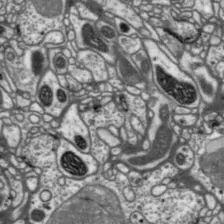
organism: Drosophila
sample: Protocerebral bridge